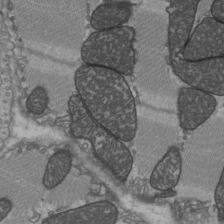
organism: C57BL Mouse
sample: Heart